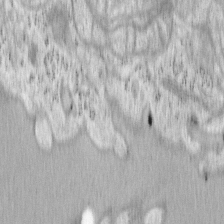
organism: Human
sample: HeLa cells